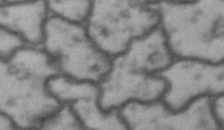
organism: Drosophila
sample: Brain